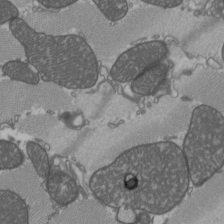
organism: C57BL Mouse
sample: Heart